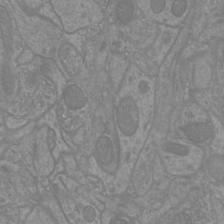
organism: Mouse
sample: Cortical neurons